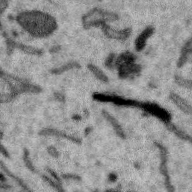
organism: Zebra finch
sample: Brain